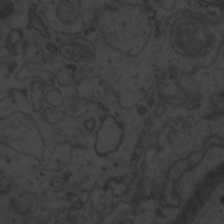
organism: Zebrafish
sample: Macrophage infected with Toxoplasma gondii